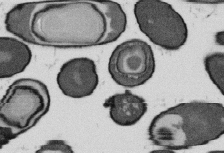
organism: B. subtilis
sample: Bacterial spore